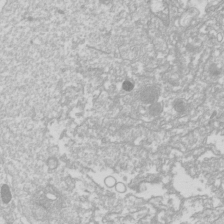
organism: Drosophila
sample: Cell division; meiosis; drosophila spermatocytes